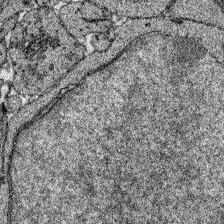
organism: Zebrafish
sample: Larval olfactory bulb